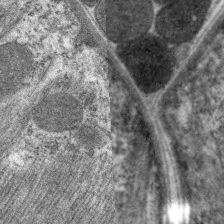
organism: C. elegans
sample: Pharynx